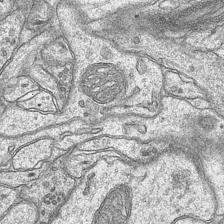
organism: Mouse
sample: CA1 Hippocampus